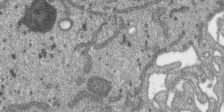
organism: Human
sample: Lung epithelial cells infected with SARS-CoV-2